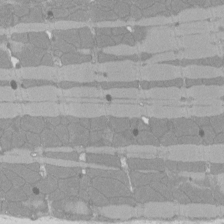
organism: Rat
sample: Left ventricle